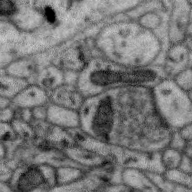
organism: Zebra finch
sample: Brain